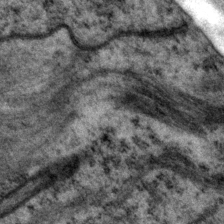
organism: P. pacificus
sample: Pharynx